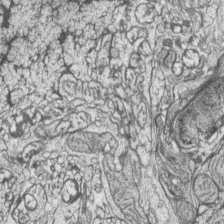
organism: Zebrafish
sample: synaptic ribbons in rod cells and cone cells